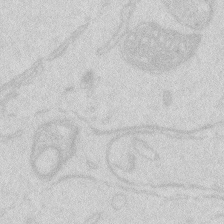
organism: Zebrafish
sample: Macrophage